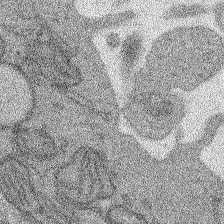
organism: Human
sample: HeLa cells